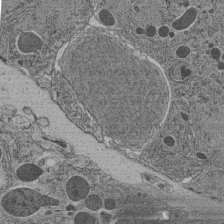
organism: C. elegans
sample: C. elegans pharynx